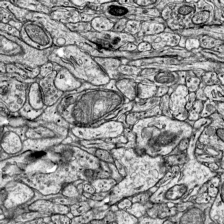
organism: Mouse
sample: Visual Cortex